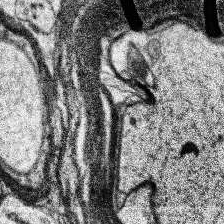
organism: Human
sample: Temporal Lobe